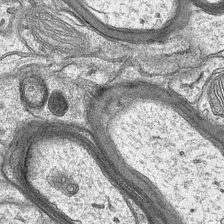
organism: Mouse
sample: CA1 Hippocampus